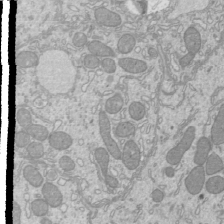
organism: Mouse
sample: Cilia; mouse epididymis